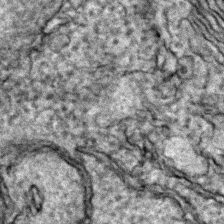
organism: Zebrafish